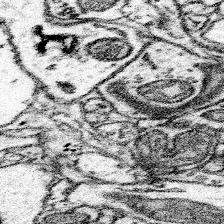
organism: Mouse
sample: Somatosensory cortex neuropil